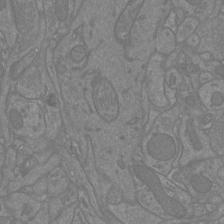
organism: Mouse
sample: Cortical neurons